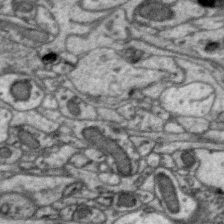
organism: Zebra finch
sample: Brain